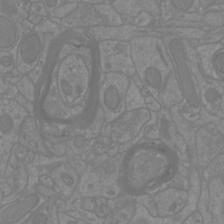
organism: Mouse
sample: Cortical neurons